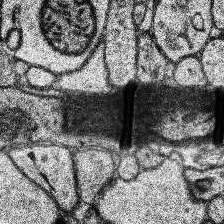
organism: Human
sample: Temporal Lobe